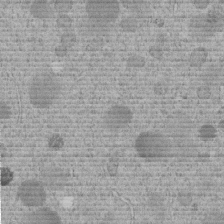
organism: C. elegans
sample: C. elegans embryo early stage